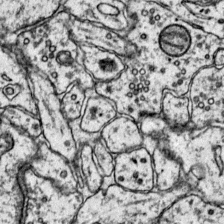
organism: Mouse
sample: Primary visual cortex